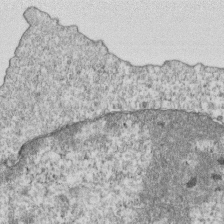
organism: Mouse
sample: Activated OT-1 CD8+ T cells